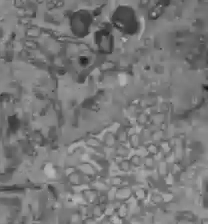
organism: C57BL Mouse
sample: Liver